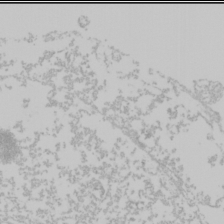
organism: Mouse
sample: Cancer cell death in ED-1 cells